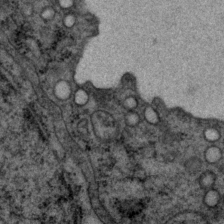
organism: P. pacificus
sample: Pharynx